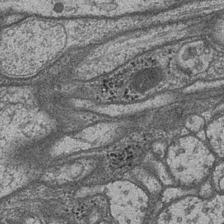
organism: Drosophila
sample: Optic medulla